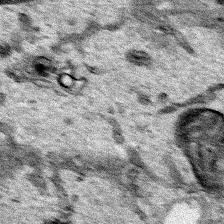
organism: Human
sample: Mitochondria in HCT116 cells